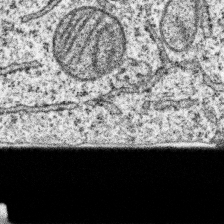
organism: Human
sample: HeLa cells